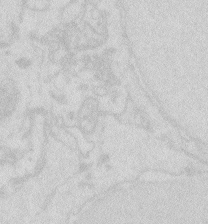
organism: Zebrafish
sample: Macrophage